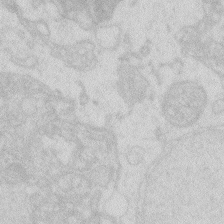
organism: Zebrafish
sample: Macrophage